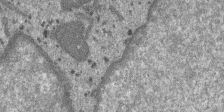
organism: Human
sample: Lung epithelial cells infected with SARS-CoV-2